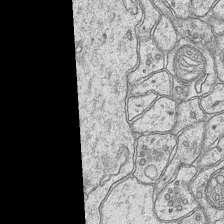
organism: Mouse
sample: CA1 Hippocampus